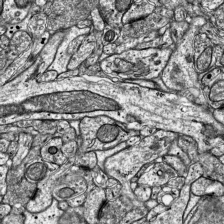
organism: Mouse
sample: Visual Cortex